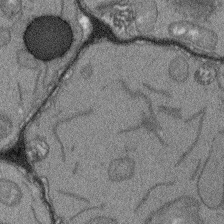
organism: Arabidopsis thaliana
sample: Root tip